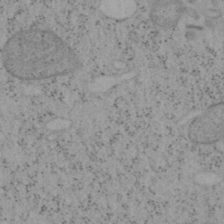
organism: Mouse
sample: OT-I killer T cells with ID8 ovarian cancer cells